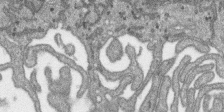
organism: Human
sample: Lung epithelial cells infected with SARS-CoV-2